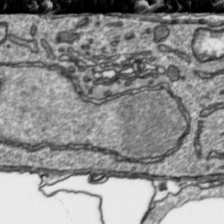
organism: Toxoplasma gondii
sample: Parasites in a vacuole inside a host cell